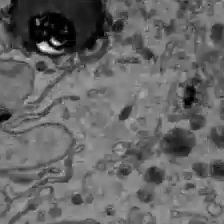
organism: C57BL Mouse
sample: Liver